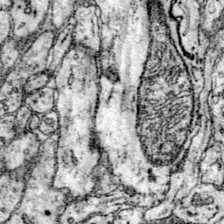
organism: Mouse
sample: Primary visual cortex